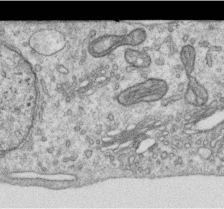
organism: Human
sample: Centriole in RPE cells